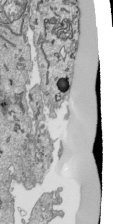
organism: Human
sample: Mitochondria in HCT116 cells